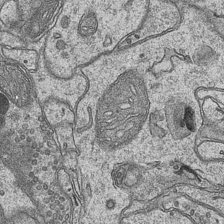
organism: Mouse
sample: CA1 Hippocampus